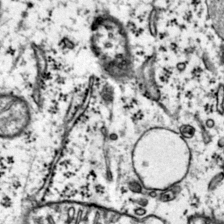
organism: Mouse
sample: Primary visual cortex